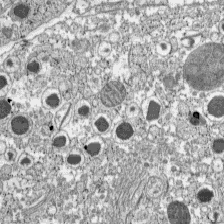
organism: C57BL Mouse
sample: Pancreatic islet